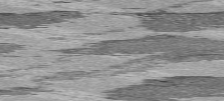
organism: C57BL Mouse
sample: Heart